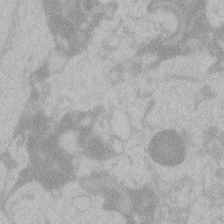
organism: Zebrafish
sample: Macrophage infected with Toxoplasma gondii